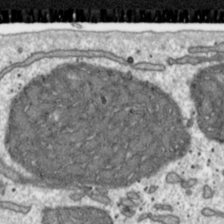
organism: Toxoplasma gondii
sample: Parasites in a vacuole inside a host cell